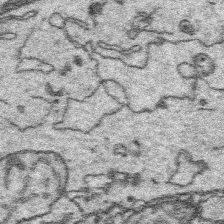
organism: Platynereis dumerilii